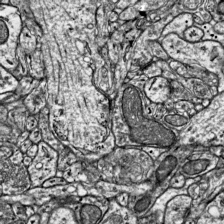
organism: Mouse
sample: Visual Cortex